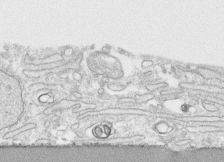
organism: Human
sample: CRL-1474